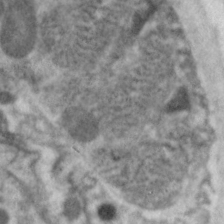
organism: C. elegans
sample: Pharynx